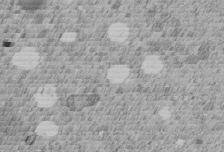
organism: C. elegans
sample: C. elegans embryo early stage